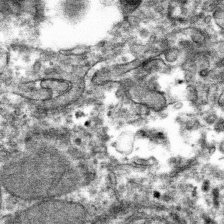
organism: Mouse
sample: Mouse hepatocytes